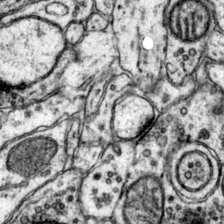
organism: Mouse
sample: Primary visual cortex